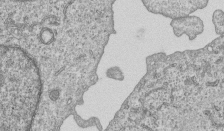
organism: Human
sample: MDA-MB-231 cells